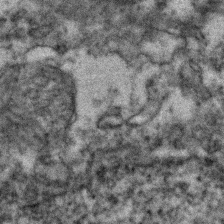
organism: Zebrafish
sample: Zebrafish embryo